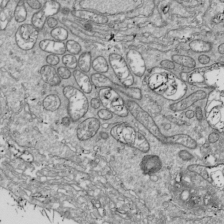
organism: Drosophila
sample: Cell division; meiosis; drosophila spermatocytes